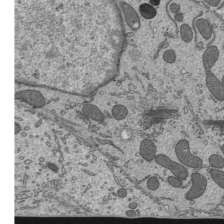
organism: Mouse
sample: Mouse epididymis efferent ductule cilia